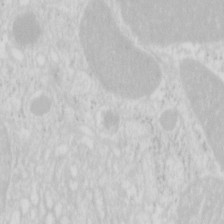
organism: Mouse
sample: Pancreas